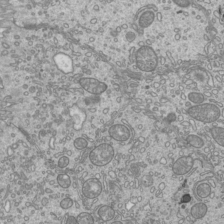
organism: Mouse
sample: Cilia; mouse epididymis